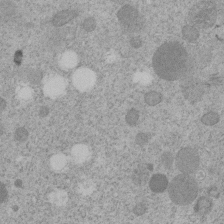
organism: C. elegans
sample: C. elegans embryo early stage